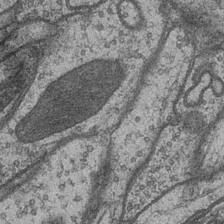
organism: Drosophila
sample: Optic medulla